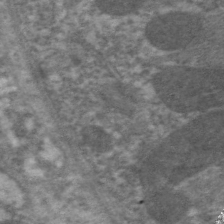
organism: C. elegans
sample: Pharynx